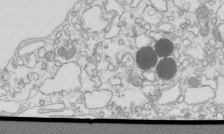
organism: Mouse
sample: Macrophages